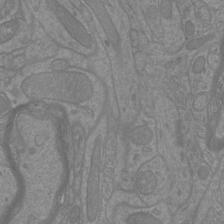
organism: Mouse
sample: Cortical neurons